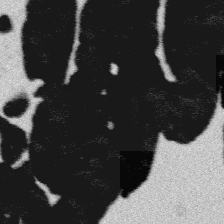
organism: Platynereis dumerilii